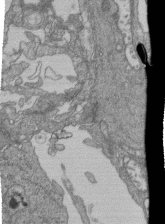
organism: Human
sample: Retinal organoid Rod and Cone cells